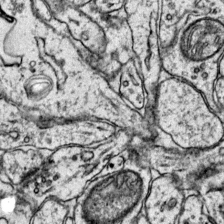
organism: Mouse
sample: Primary visual cortex